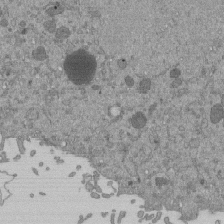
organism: Mouse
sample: ED-1 cell nuclei; centrioles